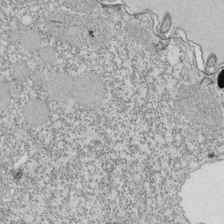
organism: Tetrahymena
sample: Cilia in tetrahymena